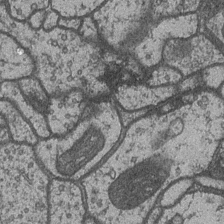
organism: Drosophila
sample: Optic medulla